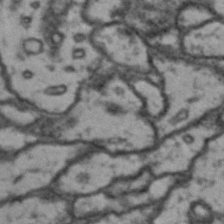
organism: Drosophila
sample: Brain